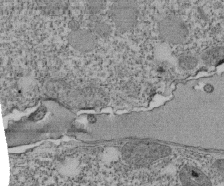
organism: Tetrahymena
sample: Cilia in tetrahymena